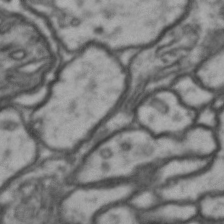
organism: Drosophila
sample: Brain